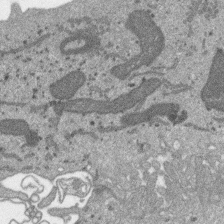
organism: Human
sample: Lung epithelial cells infected with SARS-CoV-2